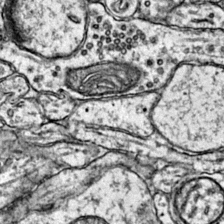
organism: Mouse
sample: Primary visual cortex